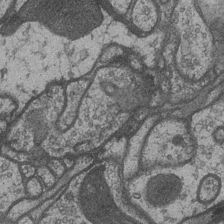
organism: Drosophila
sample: Optic medulla